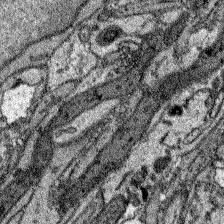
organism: Zebrafish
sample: Larval olfactory bulb